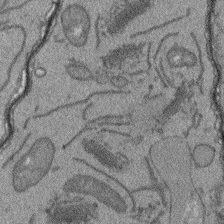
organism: Arabidopsis thaliana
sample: Root tip